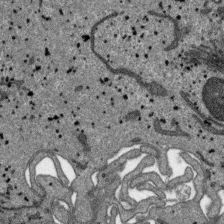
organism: Human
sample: Lung epithelial cells, uninfected (mock) control